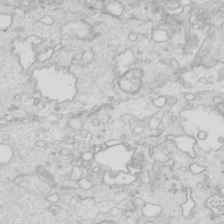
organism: Mouse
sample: Multiciliated cells